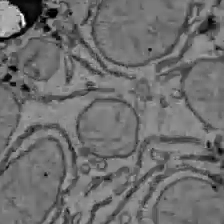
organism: C57BL Mouse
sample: Liver